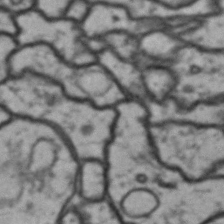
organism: Drosophila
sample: Brain